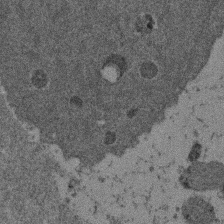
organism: Mouse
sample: Dividing mouse embryo 1 cell stage